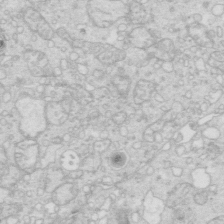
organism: Mouse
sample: Multiciliated cells